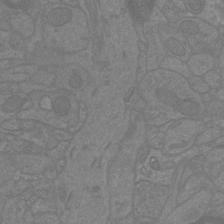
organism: Mouse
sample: Cortical neurons